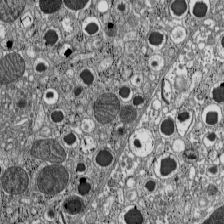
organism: C57BL Mouse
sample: Pancreatic islet